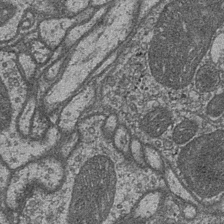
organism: Drosophila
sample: Optic medulla